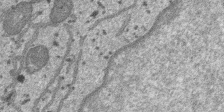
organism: Human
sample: Lung epithelial cells infected with SARS-CoV-2